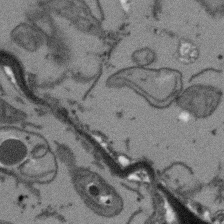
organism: Arabidopsis thaliana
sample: Root tip